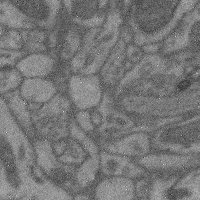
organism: Mouse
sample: Cerebral cortex